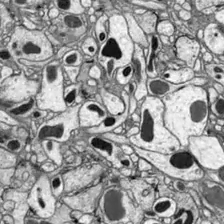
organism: Drosophila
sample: Optic lobe